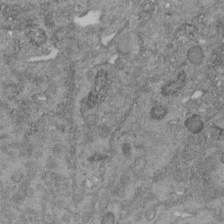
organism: C. elegans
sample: C. elegans embryo early stage